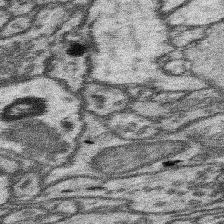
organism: Mouse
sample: Somatosensory cortex neuropil